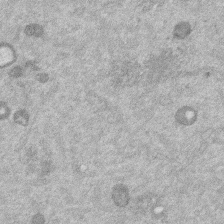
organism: Mouse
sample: Dividing mouse embryo 1 cell stage